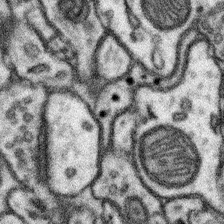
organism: Mouse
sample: Somatosensory cortex neuropil